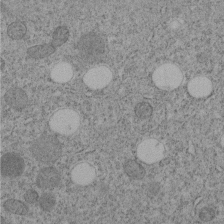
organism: C. elegans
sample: C. elegans embryo early stage